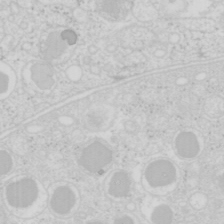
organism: Mouse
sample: Pancreas